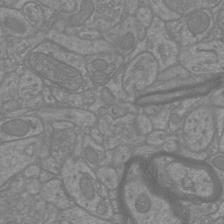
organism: Mouse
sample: Cortical neurons